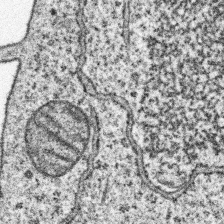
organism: Human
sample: HeLa cells